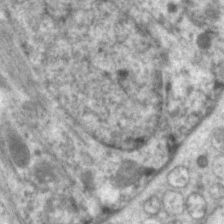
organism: C. elegans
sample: Pharynx